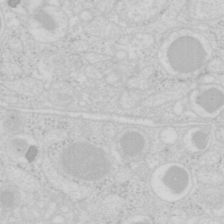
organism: Mouse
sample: Pancreas